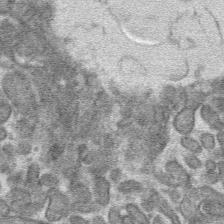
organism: Mouse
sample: Mouse hepatocytes